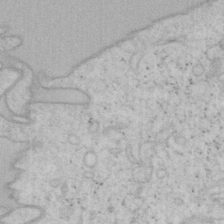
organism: Human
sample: HeLa cells